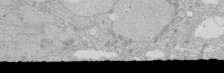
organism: Human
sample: Caco-2 cells